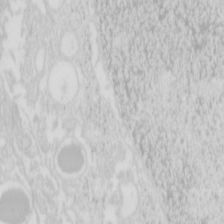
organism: Mouse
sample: Pancreas